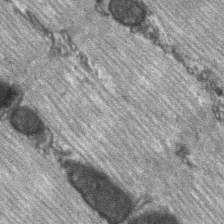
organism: C57BL Mouse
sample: Soleus